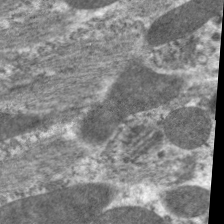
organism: C. elegans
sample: Pharynx